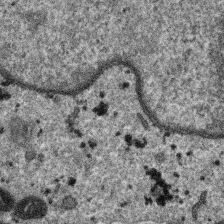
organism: Human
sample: Lung epithelial cells infected with SARS-CoV-2